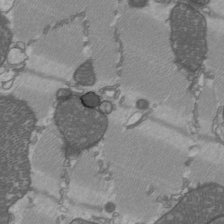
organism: C57BL Mouse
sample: Heart